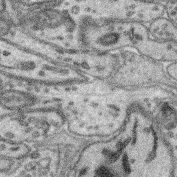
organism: Mouse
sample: Retina